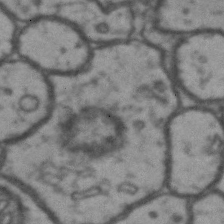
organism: Drosophila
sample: Brain